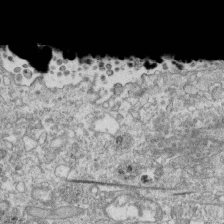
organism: Human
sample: HeLa cell HIV synapse